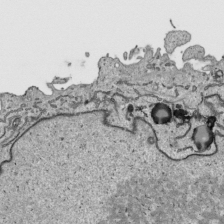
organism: Human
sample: Mitochondria in HCT116 cells